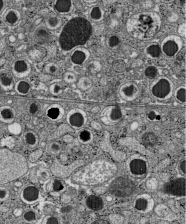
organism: C57BL Mouse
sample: Pancreatic islet